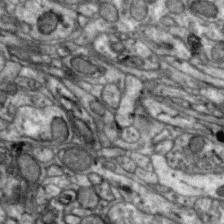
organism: Zebra finch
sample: Brain